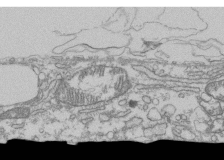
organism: Human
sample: Fibroblast cells